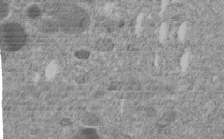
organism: C. elegans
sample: C. elegans embryo early stage